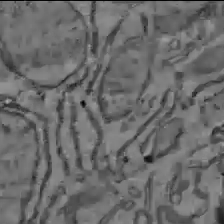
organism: C57BL Mouse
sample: Liver